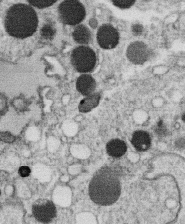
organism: C. elegans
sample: C. elegans oocyte; sperm cells